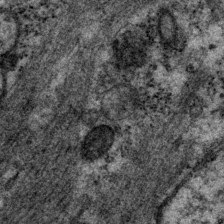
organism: P. pacificus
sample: Pharynx